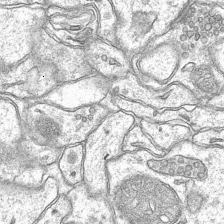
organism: Mouse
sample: CA1 Hippocampus